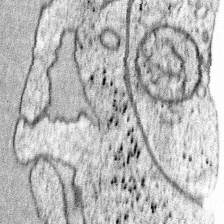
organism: Human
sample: HeLa cells